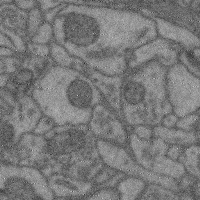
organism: Mouse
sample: Cerebral cortex